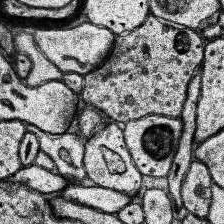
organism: Human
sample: Temporal Lobe